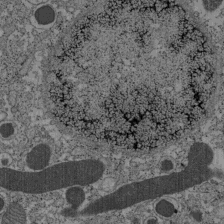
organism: C57BL Mouse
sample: Pancreatic islet